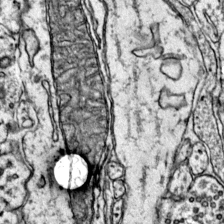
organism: Mouse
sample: Primary visual cortex